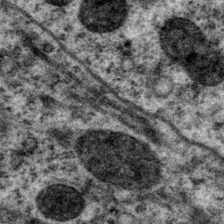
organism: P. pacificus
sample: Pharynx